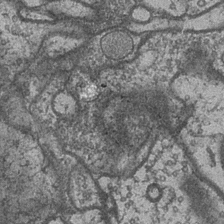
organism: Drosophila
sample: Optic medulla